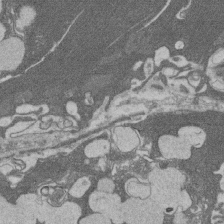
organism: Rat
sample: Salivary granule